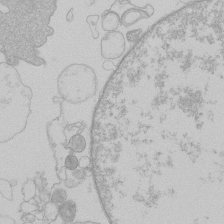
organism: Human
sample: Macrophage cells